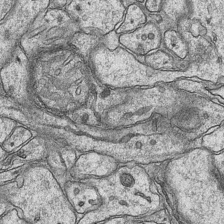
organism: Mouse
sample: CA1 Hippocampus